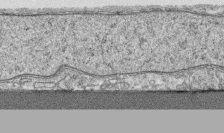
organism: Human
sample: CRL-1474